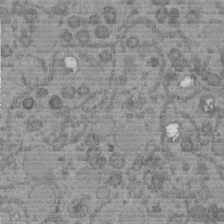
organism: C. elegans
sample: C. elegans embryo early stage